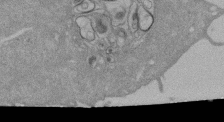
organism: Mouse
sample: ED-1 cell nuclei; centrioles